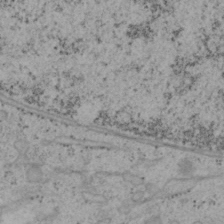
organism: Human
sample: HeLa cells